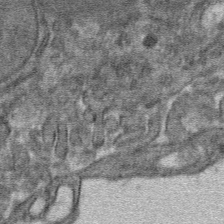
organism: Mouse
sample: Mouse hepatocytes